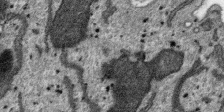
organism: Human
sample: Lung epithelial cells, uninfected (mock) control